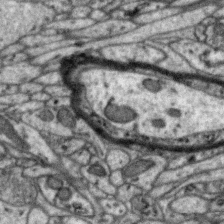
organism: Zebra finch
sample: Brain